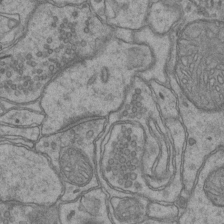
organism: Mouse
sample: CA1 Hippocampus